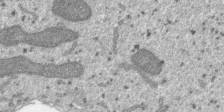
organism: Human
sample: Lung epithelial cells infected with SARS-CoV-2